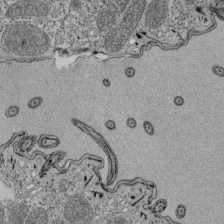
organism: Tetrahymena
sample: Cilia in tetrahymena